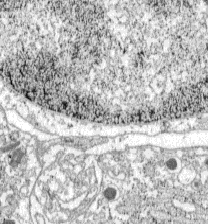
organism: C57BL Mouse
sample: Pancreatic islet